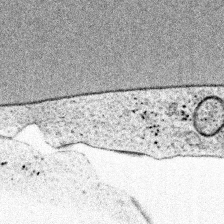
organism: Human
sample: HeLa cells